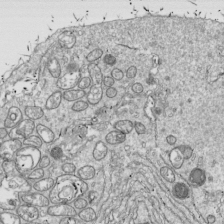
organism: Drosophila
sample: Cell division; meiosis; drosophila spermatocytes